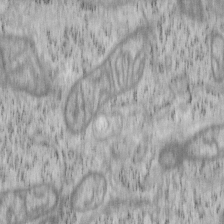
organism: Human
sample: HeLa cells